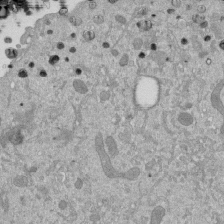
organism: Mouse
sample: ED-1 cell nuclei; centrioles